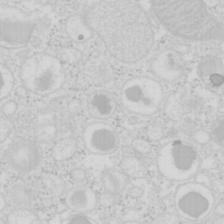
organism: Mouse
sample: Pancreas